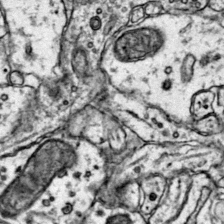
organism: Mouse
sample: Primary visual cortex